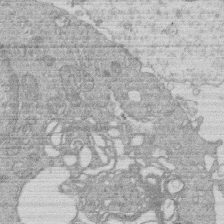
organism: Human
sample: Macrophage cells